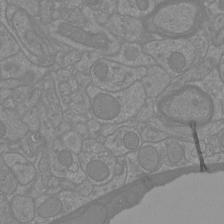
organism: Mouse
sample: Cortical neurons